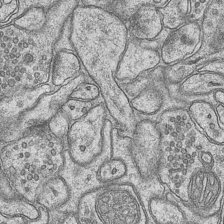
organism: Mouse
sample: CA1 Hippocampus